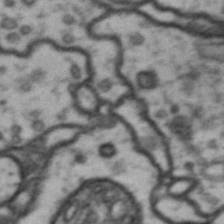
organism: Drosophila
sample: Brain